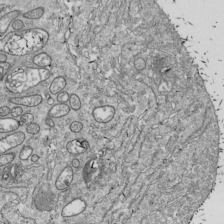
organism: Drosophila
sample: Cell division; meiosis; drosophila spermatocytes